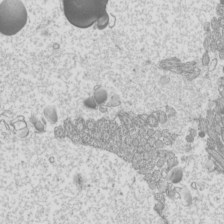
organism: Mouse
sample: Cilia; mouse epididymis